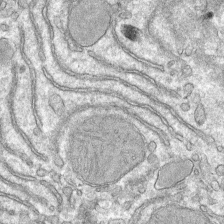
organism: Mouse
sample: Mouse hepatocytes